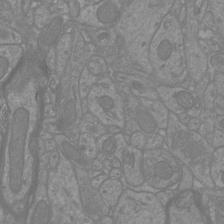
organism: Mouse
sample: Cortical neurons